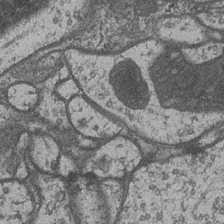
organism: Drosophila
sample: Optic medulla